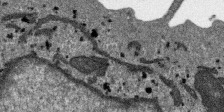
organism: Human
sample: Lung epithelial cells, uninfected (mock) control